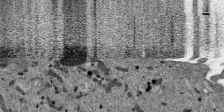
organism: Human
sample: Lung epithelial cells, uninfected (mock) control